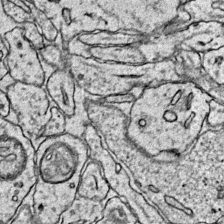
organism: Mouse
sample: Primary visual cortex